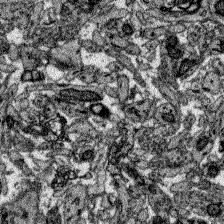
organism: Zebrafish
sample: Larval olfactory bulb